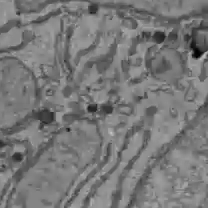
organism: C57BL Mouse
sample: Liver